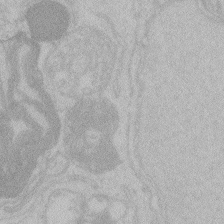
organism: Zebrafish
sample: Macrophage infected with Toxoplasma gondii